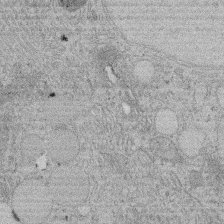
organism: Rat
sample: Salivary granule